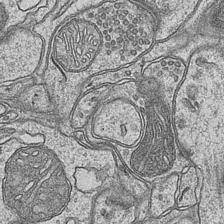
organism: Mouse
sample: CA1 Hippocampus